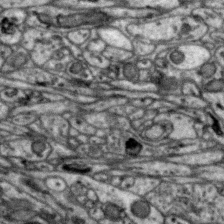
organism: Zebra finch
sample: Brain